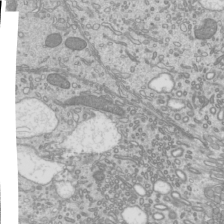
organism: Mouse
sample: Cilia; mouse epididymis